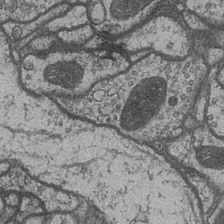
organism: Drosophila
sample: Optic medulla